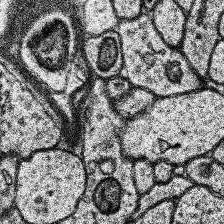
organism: Human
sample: Temporal Lobe